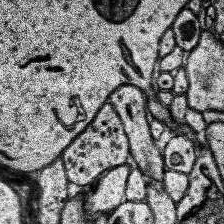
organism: Human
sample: Temporal Lobe